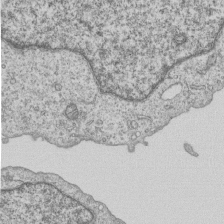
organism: Human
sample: MDA-MB-231 cells